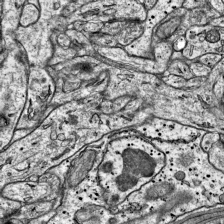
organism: Mouse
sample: Visual Cortex